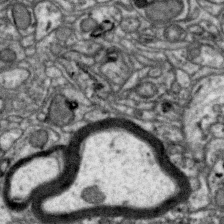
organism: Zebra finch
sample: Brain